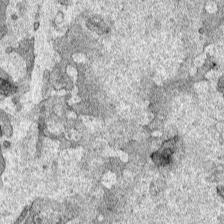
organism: Human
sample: Mitochondria in HCT116 cells